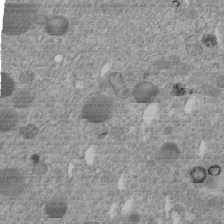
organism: C. elegans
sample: C. elegans embryo early stage